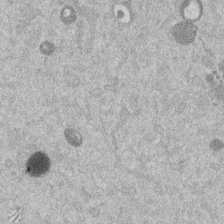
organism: Mouse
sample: Dividing mouse embryo 1 cell stage